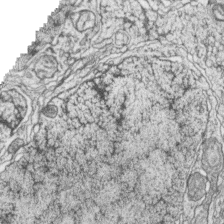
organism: Zebrafish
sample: synaptic ribbons in rod cells and cone cells